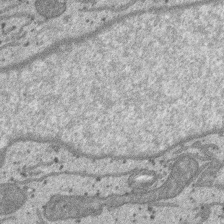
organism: Human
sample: Lung epithelial cells infected with SARS-CoV-2